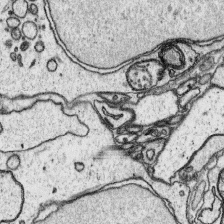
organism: Platynereis dumerilii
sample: Parapodia